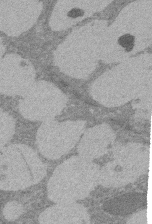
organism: Rat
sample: Salivary granule